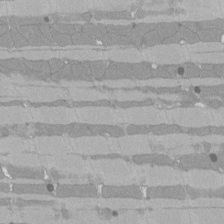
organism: Rat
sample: Left ventricle